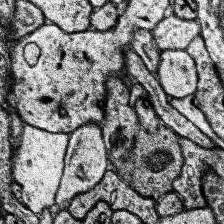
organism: Human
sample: Temporal Lobe